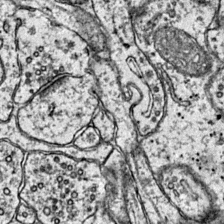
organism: Mouse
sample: Primary visual cortex